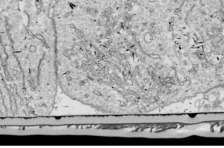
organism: Drosophila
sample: Cell division; meiosis; drosophila spermatocytes